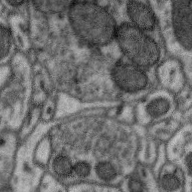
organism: Zebra finch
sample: Brain